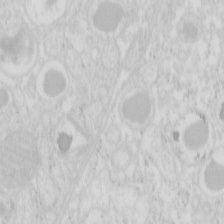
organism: Mouse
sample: Pancreas